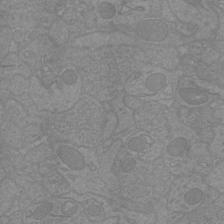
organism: Mouse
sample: Cortical neurons